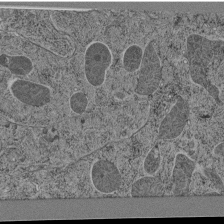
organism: C. elegans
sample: C. elegans pharynx